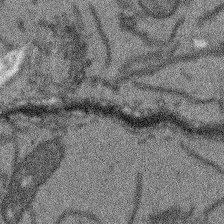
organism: Arabidopsis thaliana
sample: Root tip